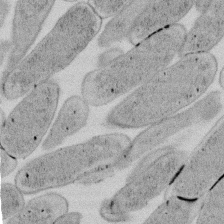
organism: E. coli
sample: Bacterial nucleoid